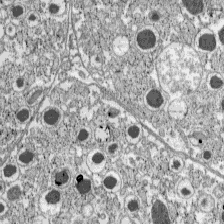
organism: C57BL Mouse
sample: Pancreatic islet